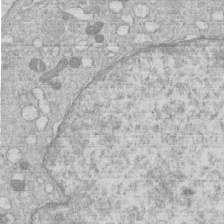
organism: Human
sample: Macrophage cells